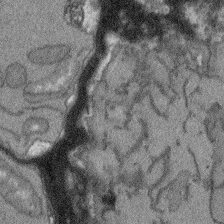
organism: Arabidopsis thaliana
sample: Root tip